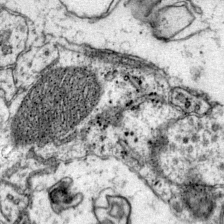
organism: Mouse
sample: Primary visual cortex